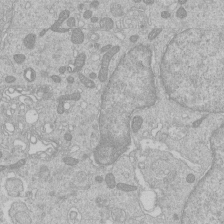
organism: Human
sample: Macrophage cells